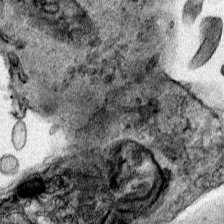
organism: Human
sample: Mitochondria in HCT116 cells